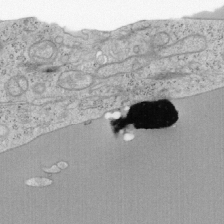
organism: Human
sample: HeLa cells